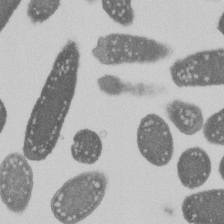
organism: E. coli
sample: Bacterial nucleoid